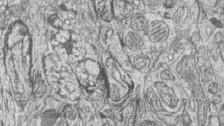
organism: Zebrafish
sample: synaptic ribbons in rod cells and cone cells